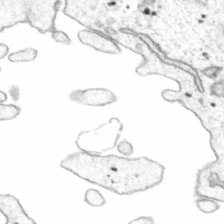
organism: Human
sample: HeLa cells